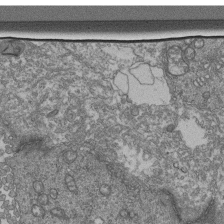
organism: Human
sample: Retinal organoid Rod and Cone cells